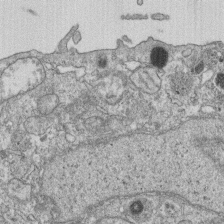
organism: Human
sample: HeLa cell HIV synapse